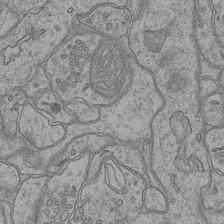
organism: Mouse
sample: CA1 Hippocampus